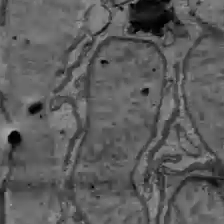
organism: C57BL Mouse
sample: Liver